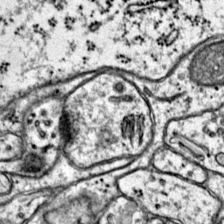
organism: Mouse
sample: Primary visual cortex